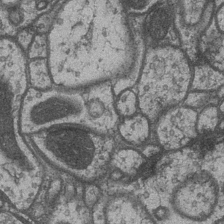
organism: Drosophila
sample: Optic medulla